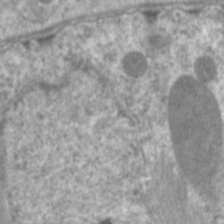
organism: C. elegans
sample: Pharynx